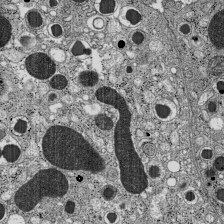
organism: C57BL Mouse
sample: Pancreatic islet